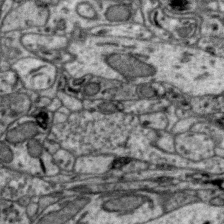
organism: Zebra finch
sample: Brain